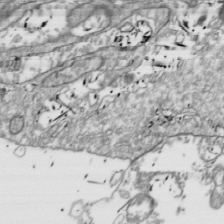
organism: Drosophila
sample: Cell division; meiosis; drosophila spermatocytes